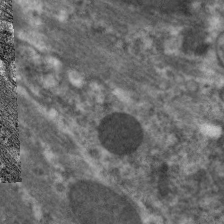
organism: C. elegans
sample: Pharynx